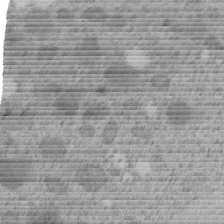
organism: C. elegans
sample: C. elegans embryo early stage